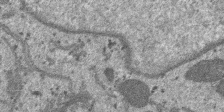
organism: Human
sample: Lung epithelial cells infected with SARS-CoV-2